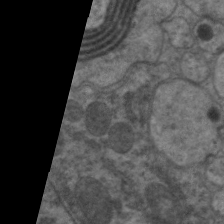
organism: C. elegans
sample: Pharynx